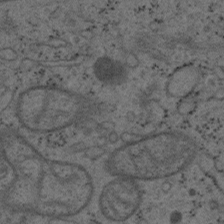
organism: Human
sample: HeLa cells